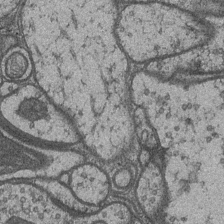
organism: Drosophila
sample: Optic medulla